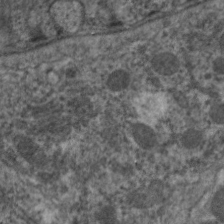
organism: C. elegans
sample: Pharynx